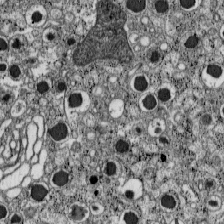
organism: C57BL Mouse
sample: Pancreatic islet